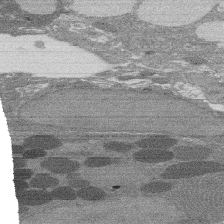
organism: Rat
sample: Salivary granule